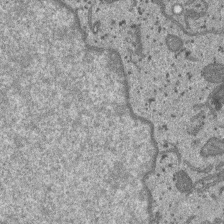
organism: Human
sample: Lung epithelial cells infected with SARS-CoV-2